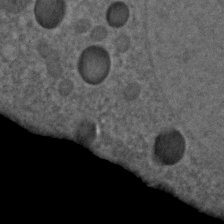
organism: C. elegans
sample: C. elegans embryo